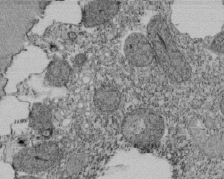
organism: Tetrahymena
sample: Cilia in tetrahymena